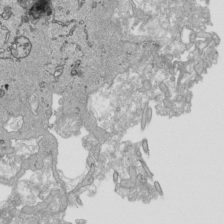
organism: Human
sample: Mitochondria in HCT116 cells